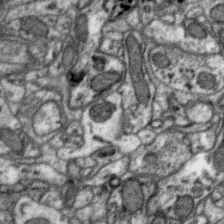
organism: Zebra finch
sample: Brain